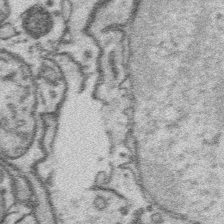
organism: Platynereis dumerilii